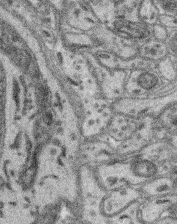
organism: Mouse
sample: Retina